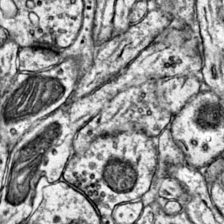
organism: Mouse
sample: Primary visual cortex